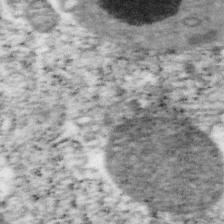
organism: Mouse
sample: OT-I killer T cells with ID8 ovarian cancer cells